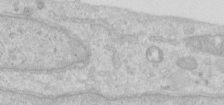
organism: Human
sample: Centriole in RPE cells